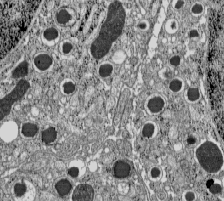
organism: C57BL Mouse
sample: Pancreatic islet